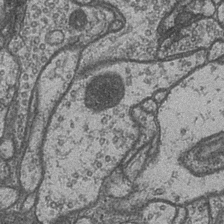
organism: Drosophila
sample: Optic medulla